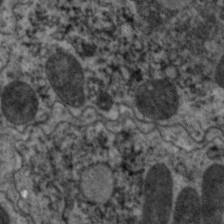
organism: C. elegans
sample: Pharynx